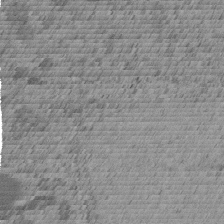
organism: C. elegans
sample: C. elegans embryo early stage